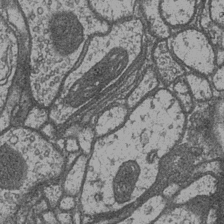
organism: Drosophila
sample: Optic medulla